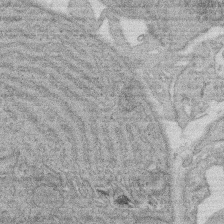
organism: Rat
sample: Salivary granule